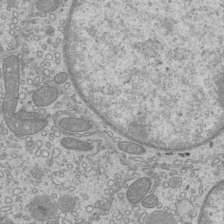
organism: Mouse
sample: Cilia; mouse epididymis